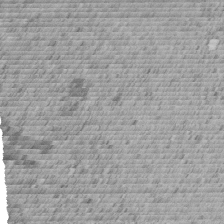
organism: C. elegans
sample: C. elegans embryo early stage